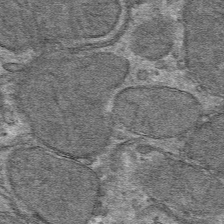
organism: Mouse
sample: Mouse hepatocytes